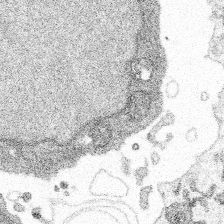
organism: Spongilla lacustris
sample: Multiple